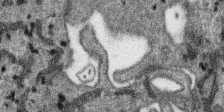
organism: Human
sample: Lung epithelial cells infected with SARS-CoV-2